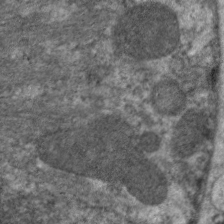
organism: C. elegans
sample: Pharynx